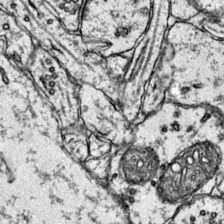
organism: Mouse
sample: Primary visual cortex